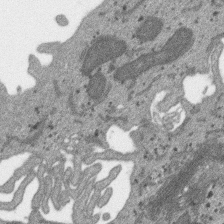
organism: Human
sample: Lung epithelial cells infected with SARS-CoV-2